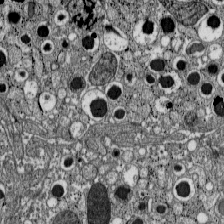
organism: C57BL Mouse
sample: Pancreatic islet